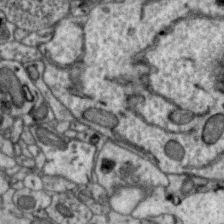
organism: Zebra finch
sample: Brain